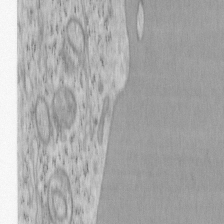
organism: Human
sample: HeLa cells